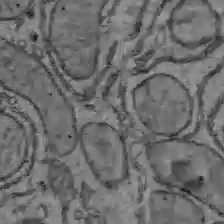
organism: C57BL Mouse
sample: Liver